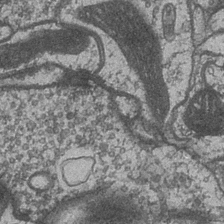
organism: Drosophila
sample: Optic medulla